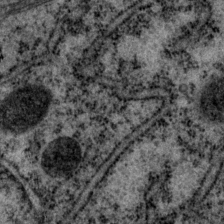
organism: P. pacificus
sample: Pharynx